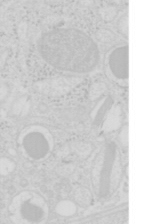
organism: Mouse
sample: Pancreas